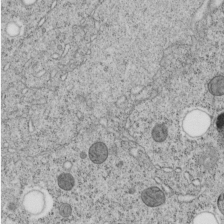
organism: C. elegans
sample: C. elegans embryo early stage